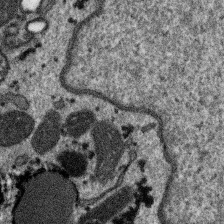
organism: Human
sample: Lung epithelial cells infected with SARS-CoV-2